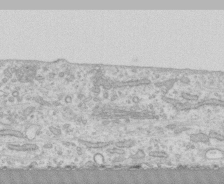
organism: Human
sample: CRL-1474